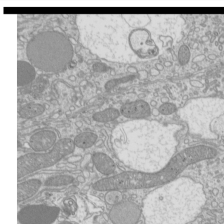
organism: Mouse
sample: Cilia; mouse epididymis